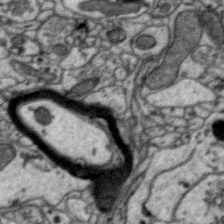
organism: Zebra finch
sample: Brain